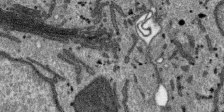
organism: Human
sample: Lung epithelial cells, uninfected (mock) control